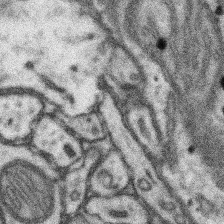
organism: Mouse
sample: Somatosensory cortex neuropil